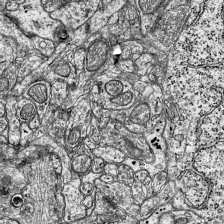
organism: Mouse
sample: Visual Cortex